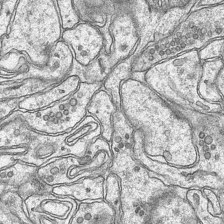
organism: Mouse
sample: CA1 Hippocampus